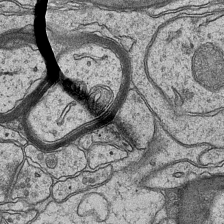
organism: Mouse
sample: CA1 Hippocampus